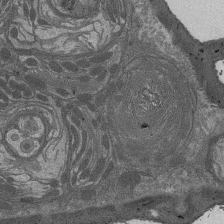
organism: Drosophila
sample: Antenna